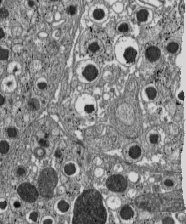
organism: C57BL Mouse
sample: Pancreatic islet